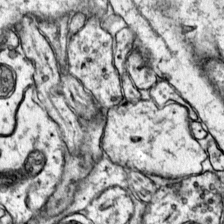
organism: Mouse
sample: Primary visual cortex